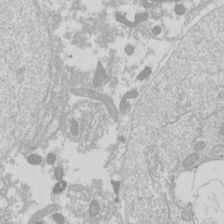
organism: Drosophila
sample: Cell division; meiosis; drosophila spermatocytes